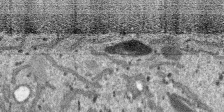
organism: Human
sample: Lung epithelial cells infected with SARS-CoV-2